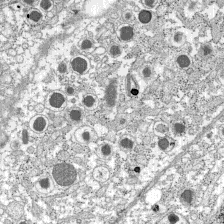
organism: C57BL Mouse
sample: Pancreatic islet